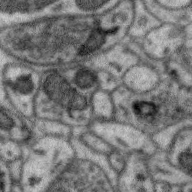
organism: Zebra finch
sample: Brain